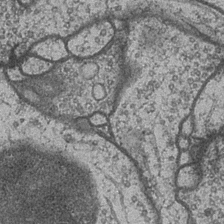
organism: Drosophila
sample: Optic medulla